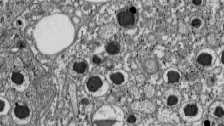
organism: C57BL Mouse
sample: Pancreatic islet